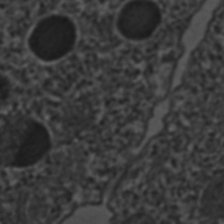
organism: C. elegans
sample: C. elegans embryo